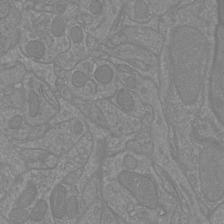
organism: Mouse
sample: Cortical neurons